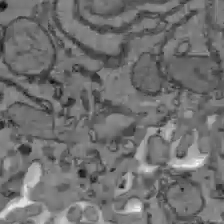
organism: C57BL Mouse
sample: Liver